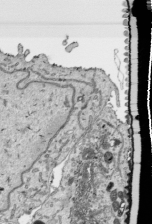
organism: Human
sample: Mitochondria in HCT116 cells